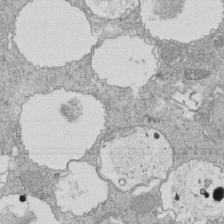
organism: Tetrahymena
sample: Cilia in tetrahymena